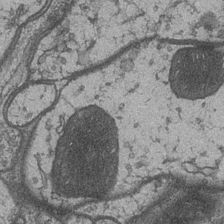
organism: Drosophila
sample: Optic medulla